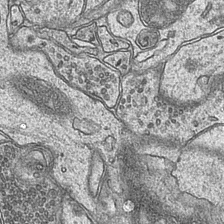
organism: Mouse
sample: CA1 Hippocampus